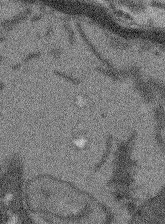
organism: Arabidopsis thaliana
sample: Root tip